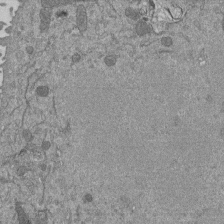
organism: Mouse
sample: ED-1 cell nuclei; centrioles